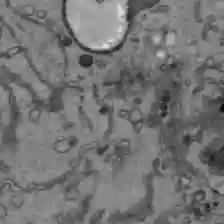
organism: C57BL Mouse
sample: Liver